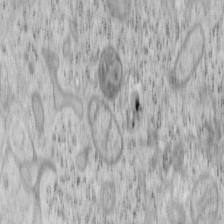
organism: Human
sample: HeLa cells